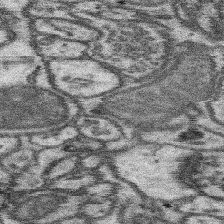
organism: Mouse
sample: Somatosensory cortex neuropil